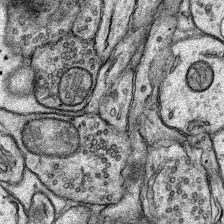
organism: Rat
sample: Hippocampus